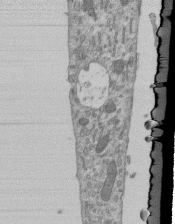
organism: Mouse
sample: ED-1 cell nuclei; centrioles